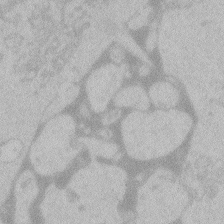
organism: Zebrafish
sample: Macrophage infected with Toxoplasma gondii